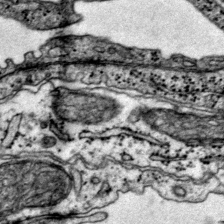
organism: Mouse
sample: Primary visual cortex